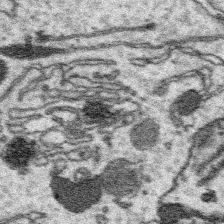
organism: Platynereis dumerilii